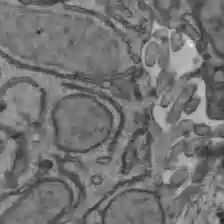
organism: C57BL Mouse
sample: Liver